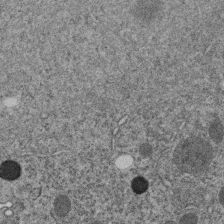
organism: C. elegans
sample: C. elegans embryo early stage